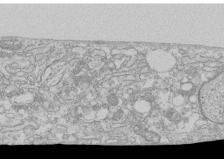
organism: Human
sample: CRL-1474